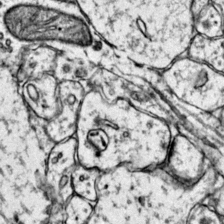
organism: Mouse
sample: Primary visual cortex